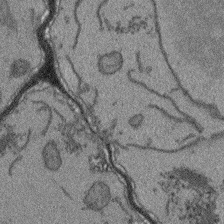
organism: Arabidopsis thaliana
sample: Root tip